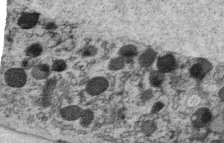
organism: C. elegans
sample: C. elegans oocyte; sperm cells